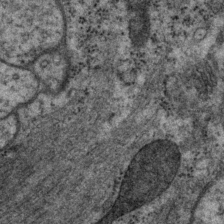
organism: P. pacificus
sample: Pharynx